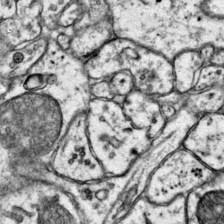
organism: Mouse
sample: Primary visual cortex